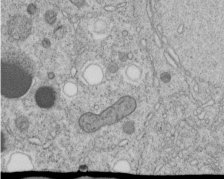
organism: C. elegans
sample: C. elegans embryo early stage